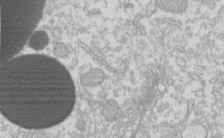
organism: Xenopus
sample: Cilia; centrioles in frog embryo cells